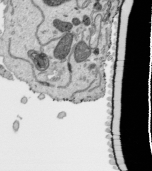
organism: Human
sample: Mitochondria in HCT116 cells